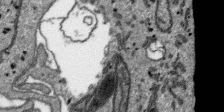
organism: Human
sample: Lung epithelial cells, uninfected (mock) control